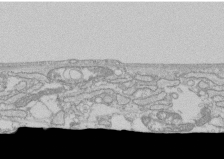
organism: Human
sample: CRL-1474